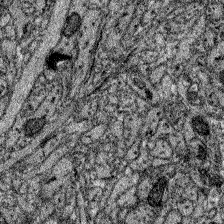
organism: Zebrafish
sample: Larval olfactory bulb